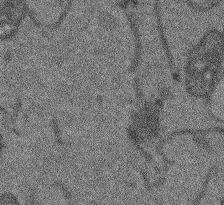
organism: Arabidopsis thaliana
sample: Root tip